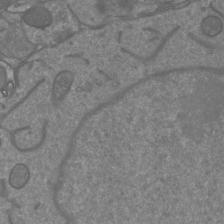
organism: Mouse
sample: Cortical neurons